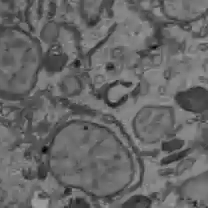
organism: C57BL Mouse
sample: Liver